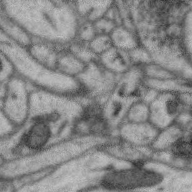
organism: Zebra finch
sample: Brain